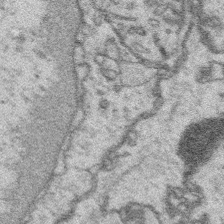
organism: Platynereis dumerilii